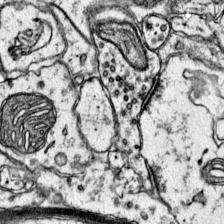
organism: Mouse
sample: Primary visual cortex